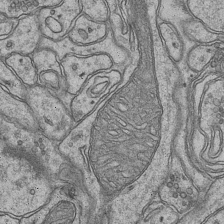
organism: Mouse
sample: CA1 Hippocampus